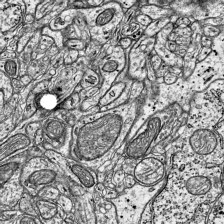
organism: Mouse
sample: Visual Cortex